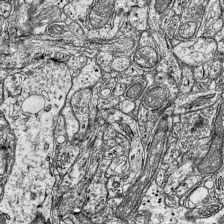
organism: Mouse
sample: Visual Cortex